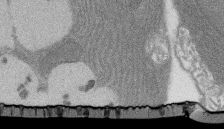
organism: Rat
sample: Salivary granule